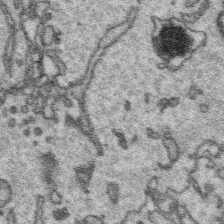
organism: Platynereis dumerilii